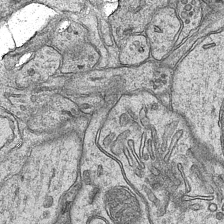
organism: Mouse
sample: CA1 Hippocampus